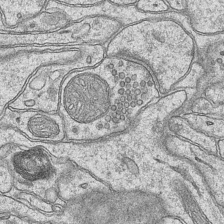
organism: Mouse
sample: CA1 Hippocampus